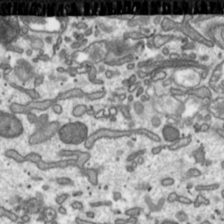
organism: Toxoplasma gondii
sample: Parasites in a vacuole inside a host cell